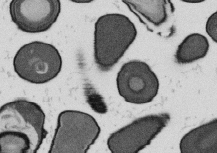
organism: B. subtilis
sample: Bacterial spore